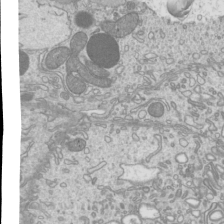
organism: Mouse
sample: Cilia; mouse epididymis